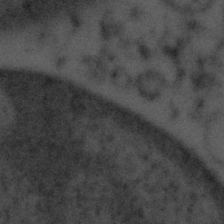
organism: Tuwongella immobilis